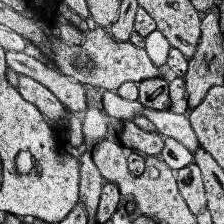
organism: Human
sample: Temporal Lobe